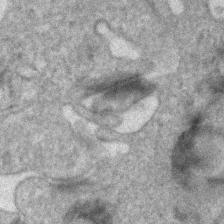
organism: Human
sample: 1205lu cells